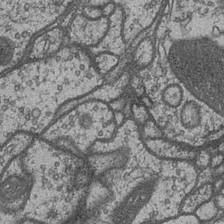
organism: Drosophila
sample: Optic medulla